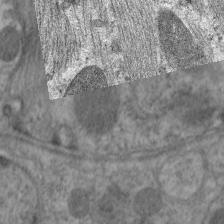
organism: C. elegans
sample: Pharynx